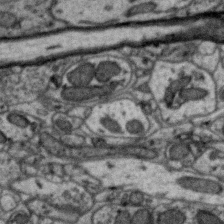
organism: Zebra finch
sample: Brain